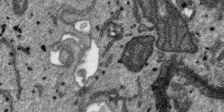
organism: Human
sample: Lung epithelial cells, uninfected (mock) control